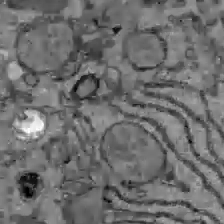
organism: C57BL Mouse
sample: Liver